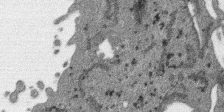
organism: Human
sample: Lung epithelial cells infected with SARS-CoV-2